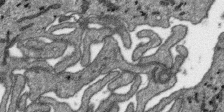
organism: Human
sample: Lung epithelial cells, uninfected (mock) control